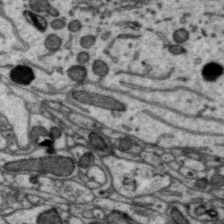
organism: Zebra finch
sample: Brain